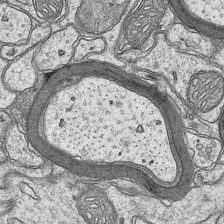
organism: Mouse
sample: CA1 Hippocampus